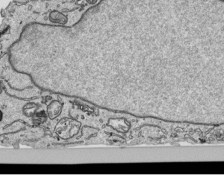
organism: Human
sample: Mitochondria in HCT116 cells